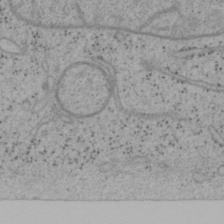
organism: Human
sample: HeLa cells